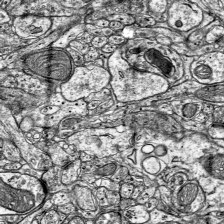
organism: Mouse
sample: Visual Cortex